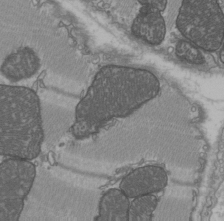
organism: C57BL Mouse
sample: Heart